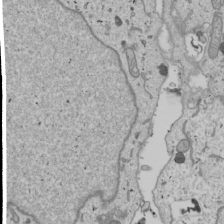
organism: Human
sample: Mitochondria in U2OS cells